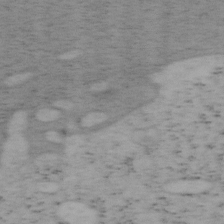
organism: Mouse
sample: OT-I killer T cells with ID8 ovarian cancer cells